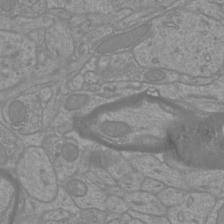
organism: Mouse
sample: Cortical neurons